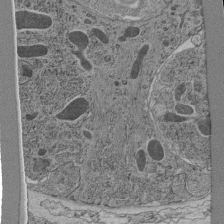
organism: C. elegans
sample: C. elegans pharynx